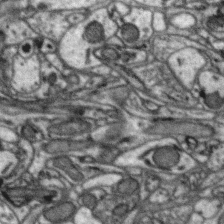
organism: Zebra finch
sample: Brain